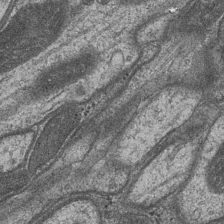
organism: Drosophila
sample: Optic medulla